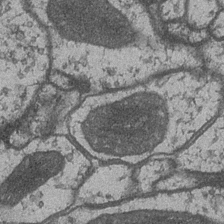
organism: Drosophila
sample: Optic medulla